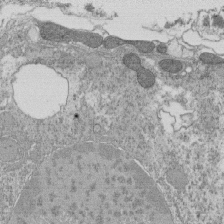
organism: Tetrahymena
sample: Cilia in tetrahymena